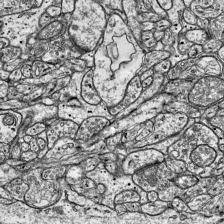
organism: Mouse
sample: Visual Cortex